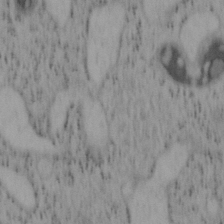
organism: Mouse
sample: OT-I killer T cells with ID8 ovarian cancer cells